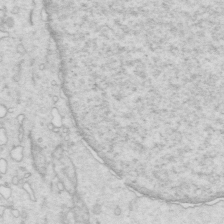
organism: Mouse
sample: Multiciliated cells